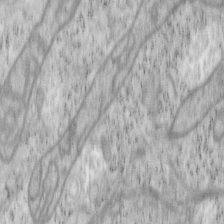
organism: Human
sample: HeLa cells